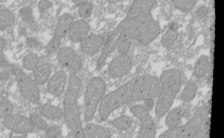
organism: Xenopus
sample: Cilia; centrioles in frog embryo cells